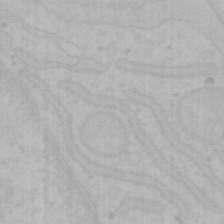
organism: Mouse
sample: Choroid plexus